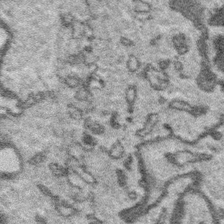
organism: Platynereis dumerilii